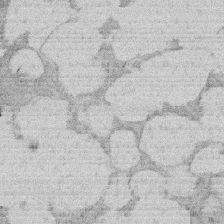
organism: Rat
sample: Salivary granule